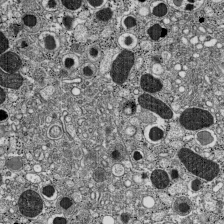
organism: C57BL Mouse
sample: Pancreatic islet